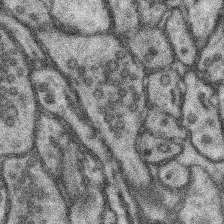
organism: Mouse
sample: Somatosensory cortex neuropil